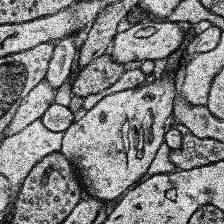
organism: Human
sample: Temporal Lobe